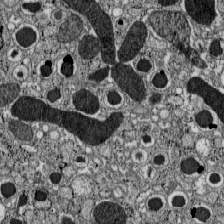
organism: C57BL Mouse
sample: Pancreatic islet